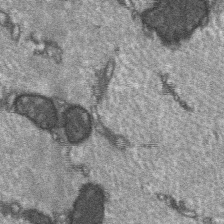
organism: C57BL Mouse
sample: Soleus